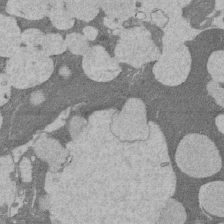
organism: Rat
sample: Salivary granule